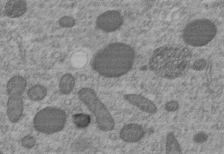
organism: C. elegans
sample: C. elegans embryo early stage